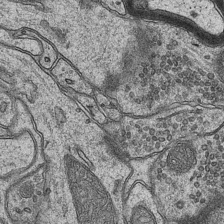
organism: Mouse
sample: CA1 Hippocampus